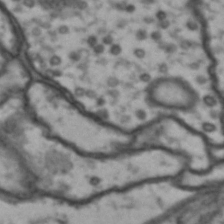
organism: Drosophila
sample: Brain